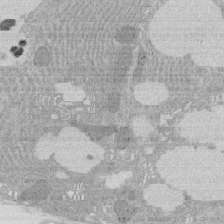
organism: Rat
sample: Salivary granule